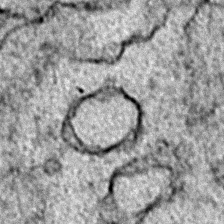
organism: Zebrafish